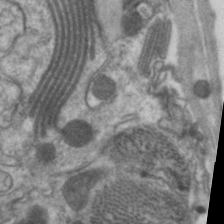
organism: C. elegans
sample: Pharynx